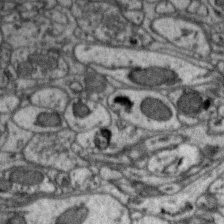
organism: Zebra finch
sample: Brain